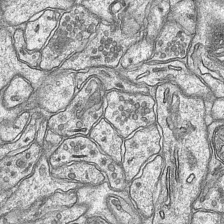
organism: Mouse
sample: CA1 Hippocampus